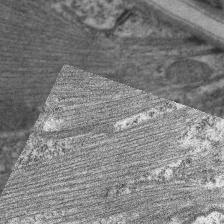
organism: C. elegans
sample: Pharynx